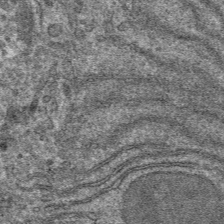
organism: Mouse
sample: Mouse hepatocytes